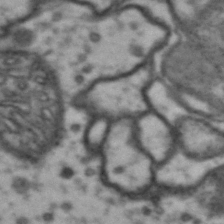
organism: Drosophila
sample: Brain